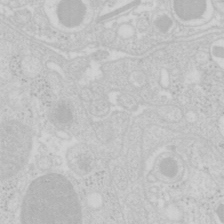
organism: Mouse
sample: Pancreas